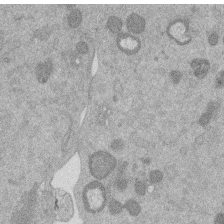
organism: Mouse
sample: Dividing mouse embryo 1 cell stage